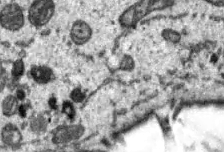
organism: Human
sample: HeLa cells